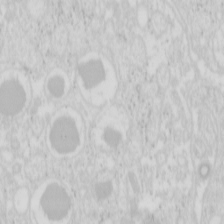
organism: Mouse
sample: Pancreas